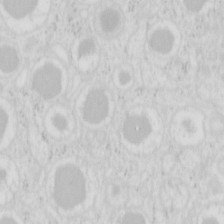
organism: Mouse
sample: Pancreas